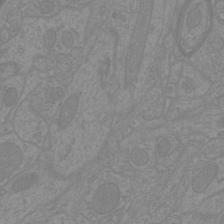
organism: Mouse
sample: Cortical neurons